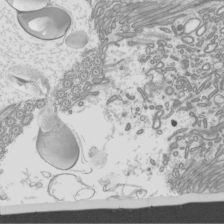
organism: Mouse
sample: Cilia; mouse epididymis